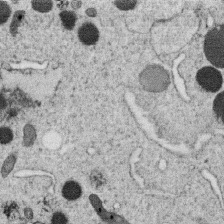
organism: C. elegans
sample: C. elegans oocyte; sperm cells